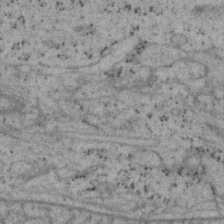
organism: Human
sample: HeLa cells